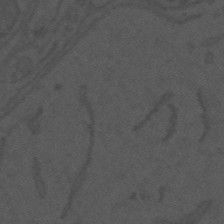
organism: Mouse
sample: Suprachiasmatic nucleus